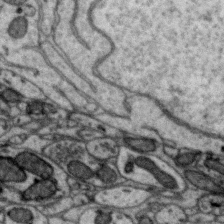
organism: Zebra finch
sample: Brain